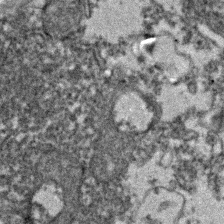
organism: Zebrafish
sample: Zebrafish embryo